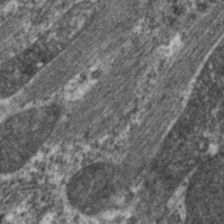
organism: C. elegans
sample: Pharynx